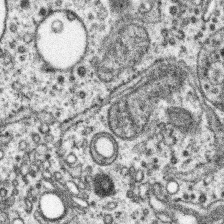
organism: Human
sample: HeLa cells